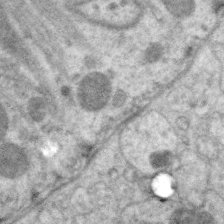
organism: C. elegans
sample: Pharynx